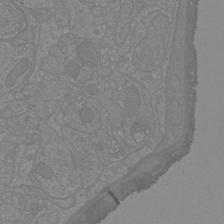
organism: Mouse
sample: Cortical neurons